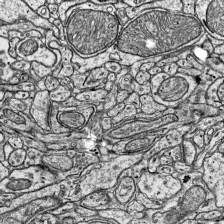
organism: Mouse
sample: Visual Cortex